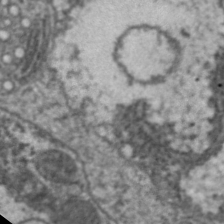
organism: C. elegans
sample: Pharynx